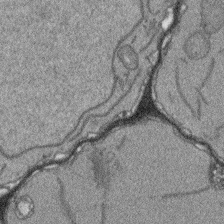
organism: Arabidopsis thaliana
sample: Root tip